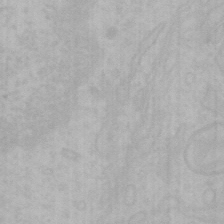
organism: Mouse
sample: Choroid plexus